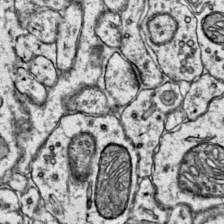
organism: Mouse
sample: Primary visual cortex